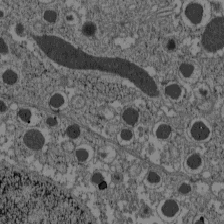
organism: C57BL Mouse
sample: Pancreatic islet